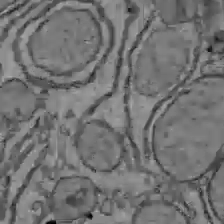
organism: C57BL Mouse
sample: Liver